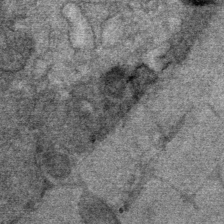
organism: Mouse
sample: Mouse Salivary gland